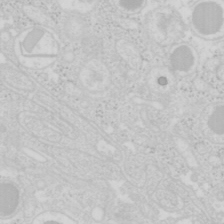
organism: Mouse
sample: Pancreas